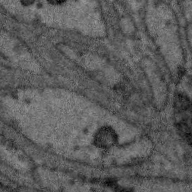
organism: Zebra finch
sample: Brain